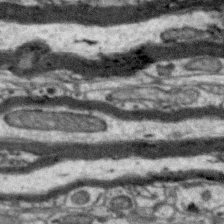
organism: Zebra finch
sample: Brain